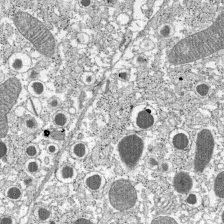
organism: C57BL Mouse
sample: Pancreatic islet